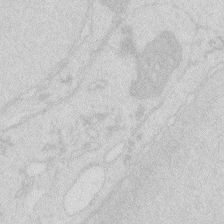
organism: Zebrafish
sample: Macrophage